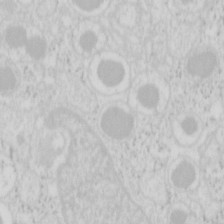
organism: Mouse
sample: Pancreas